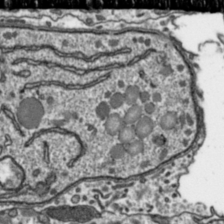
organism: Toxoplasma gondii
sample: Parasites in a vacuole inside a host cell